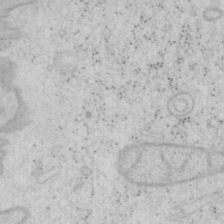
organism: Human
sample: HeLa cells